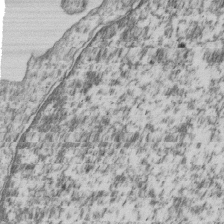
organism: Human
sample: MDA-MB-231 cells